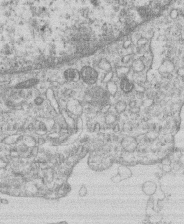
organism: Human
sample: Macrophage cells